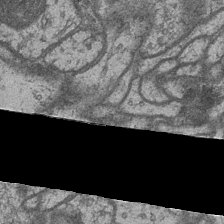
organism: Drosophila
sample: Optic medulla